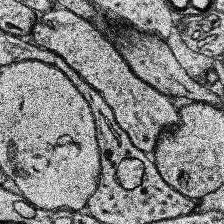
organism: Human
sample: Temporal Lobe